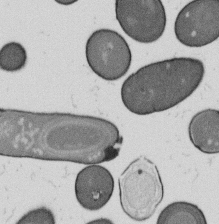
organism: B. subtilis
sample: Bacterial spore